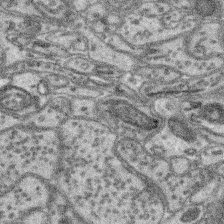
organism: Mouse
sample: Retina